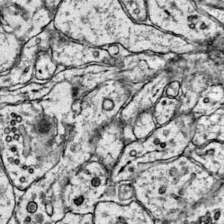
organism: Mouse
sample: Primary visual cortex